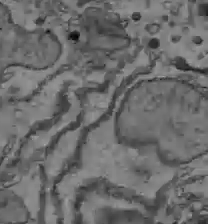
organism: C57BL Mouse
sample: Liver